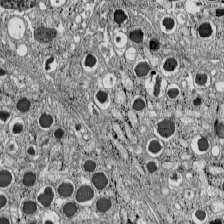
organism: C57BL Mouse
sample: Pancreatic islet